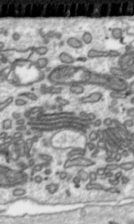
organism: Toxoplasma gondii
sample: Parasites in a vacuole inside a host cell